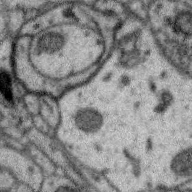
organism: Zebra finch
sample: Brain